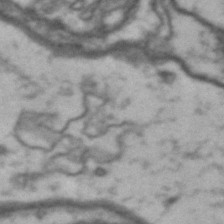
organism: Drosophila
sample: Brain